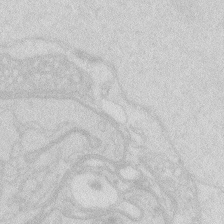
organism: Zebrafish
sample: Macrophage